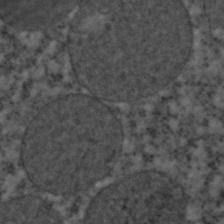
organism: C. elegans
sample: C. elegans embryo